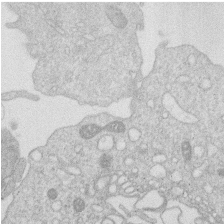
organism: Human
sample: Macrophage cells